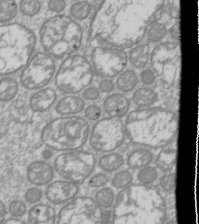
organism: Drosophila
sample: Cell division; meiosis; drosophila spermatocytes